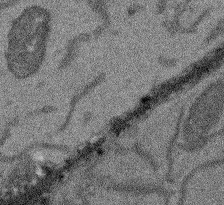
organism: Arabidopsis thaliana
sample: Root tip